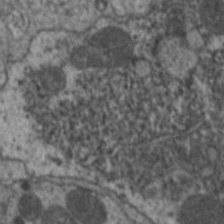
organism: C. elegans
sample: Pharynx